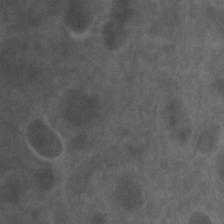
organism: Zebrafish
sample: Zebrafish embryo